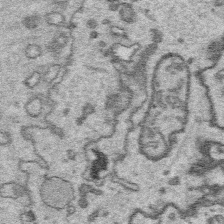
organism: Platynereis dumerilii